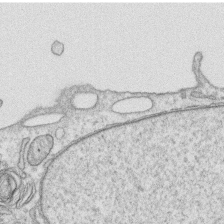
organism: Human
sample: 1205lu cells